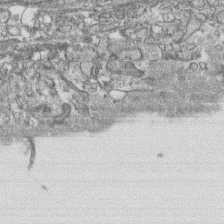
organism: Human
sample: CRL-1474